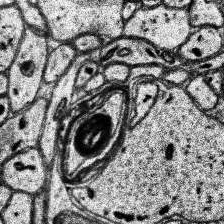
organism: Human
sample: Temporal Lobe